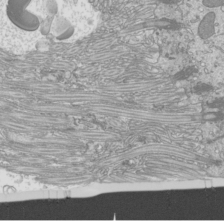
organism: Mouse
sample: Cilia; mouse epididymis